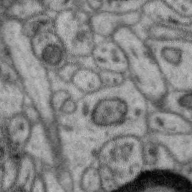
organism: Zebra finch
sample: Brain